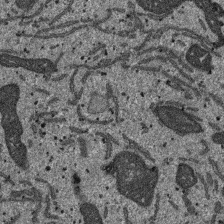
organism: Human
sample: Lung epithelial cells infected with SARS-CoV-2